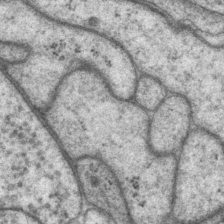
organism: P. pacificus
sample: Pharynx